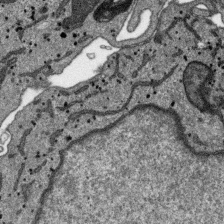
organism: Human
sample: Lung epithelial cells, uninfected (mock) control